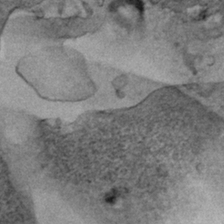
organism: Human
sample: Mitochondria in HCT116 cells